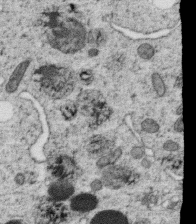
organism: C. elegans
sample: C. elegans oocyte; sperm cells